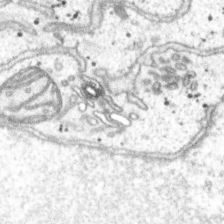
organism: Human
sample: HeLa cells